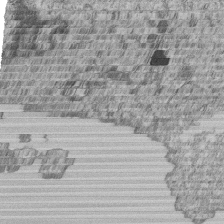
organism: Human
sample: MDA-MB-231 cells